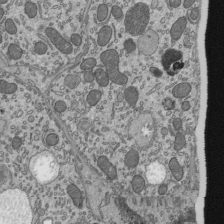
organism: Mouse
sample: Mouse epididymis efferent ductule cilia